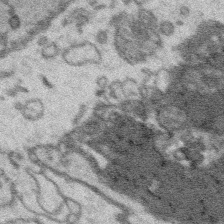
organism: Platynereis dumerilii